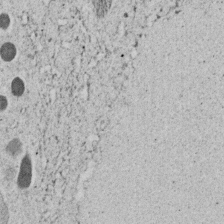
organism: C. elegans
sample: C. elegans embryo early stage